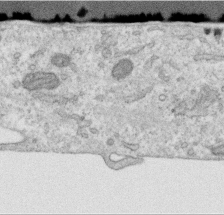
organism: Human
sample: Centriole in RPE cells